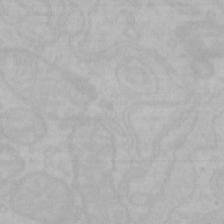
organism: Mouse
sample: Choroid plexus